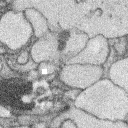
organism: Rabbit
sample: Retina